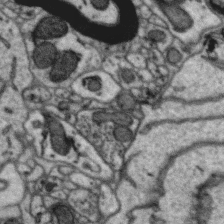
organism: Zebra finch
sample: Brain